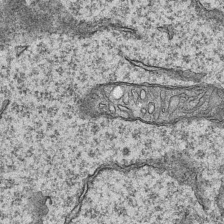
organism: Mouse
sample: CA1 Hippocampus